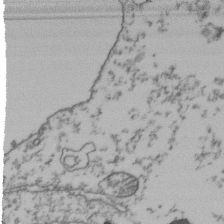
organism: Human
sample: Activated Jurkat CD4+ T cells